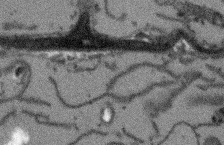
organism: Arabidopsis thaliana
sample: Root tip